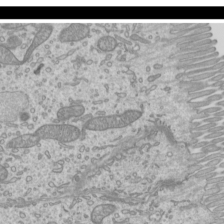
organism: Mouse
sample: Cilia; mouse epididymis